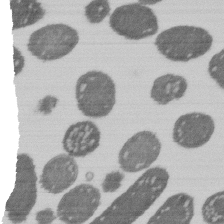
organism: E. coli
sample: Bacterial nucleoid